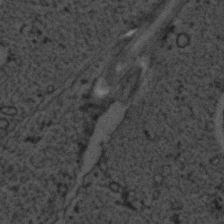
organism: C. elegans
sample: C. elegans embryo